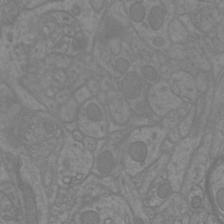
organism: Mouse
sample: Cortical neurons